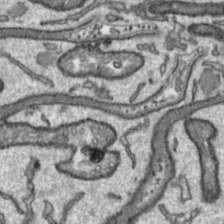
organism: Toxoplasma gondii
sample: Parasites in a vacuole inside a host cell